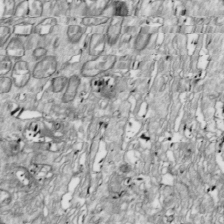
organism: Drosophila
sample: Cell division; meiosis; drosophila spermatocytes